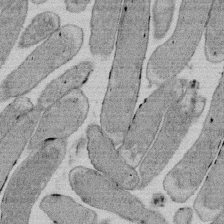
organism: E. coli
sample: Bacterial nucleoid